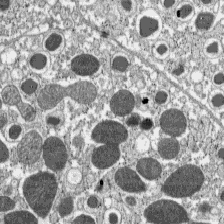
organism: C57BL Mouse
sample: Pancreatic islet